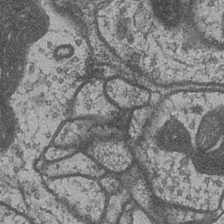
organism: Drosophila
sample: Optic medulla